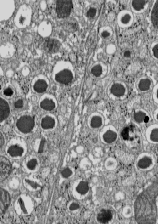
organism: C57BL Mouse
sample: Pancreatic islet